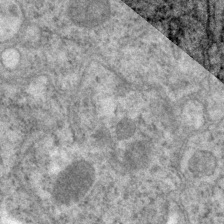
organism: P. pacificus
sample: Pharynx